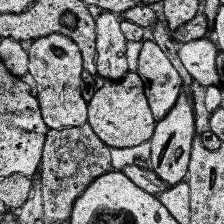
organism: Human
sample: Temporal Lobe